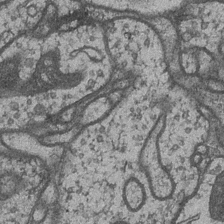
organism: Drosophila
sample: Optic medulla